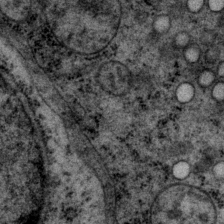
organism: P. pacificus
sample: Pharynx